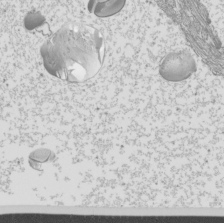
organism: Mouse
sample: Cilia; mouse epididymis